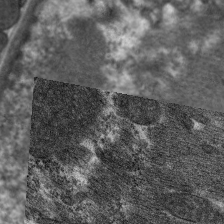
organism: C. elegans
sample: Pharynx